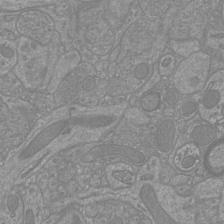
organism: Mouse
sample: Cortical neurons